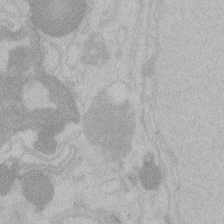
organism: Zebrafish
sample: Macrophage infected with Toxoplasma gondii